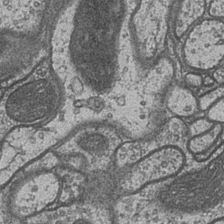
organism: Drosophila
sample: Optic medulla